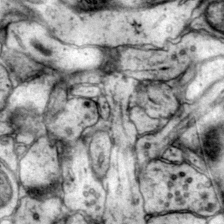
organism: Mouse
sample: Primary visual cortex